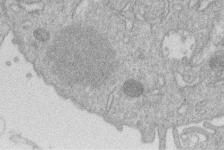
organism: Human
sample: Macrophage cells